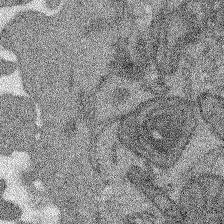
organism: Human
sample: HeLa cells